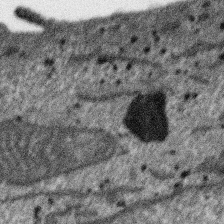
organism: Human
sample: Lung epithelial cells infected with SARS-CoV-2